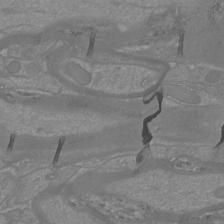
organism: Mouse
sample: Cortical neurons